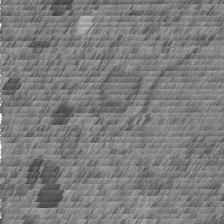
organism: C. elegans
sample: C. elegans embryo early stage